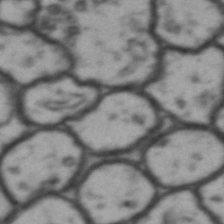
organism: Drosophila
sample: Brain